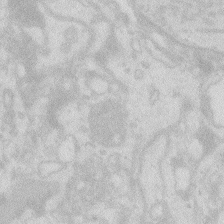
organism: Zebrafish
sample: Macrophage